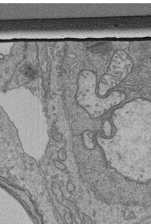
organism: Human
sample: Retinal organoid Rod and Cone cells